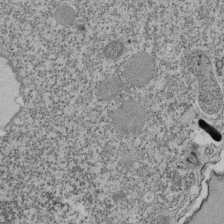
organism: Tetrahymena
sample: Cilia in tetrahymena